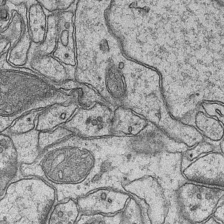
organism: Mouse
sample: CA1 Hippocampus